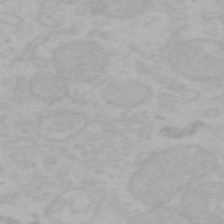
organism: Mouse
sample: Choroid plexus